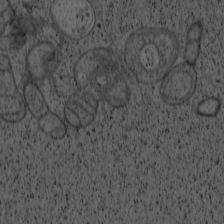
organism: African green monkey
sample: COS-7 cells